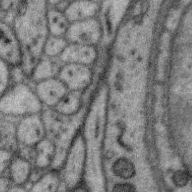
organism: Zebra finch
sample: Brain